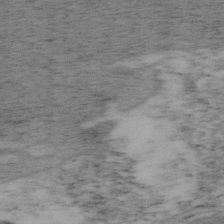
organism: Mouse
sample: OT-I killer T cells with ID8 ovarian cancer cells